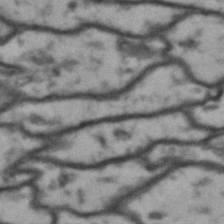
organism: Drosophila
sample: Brain